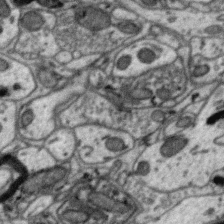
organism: Zebra finch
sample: Brain